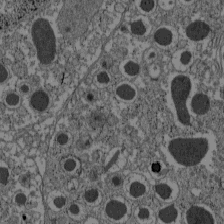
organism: C57BL Mouse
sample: Pancreatic islet